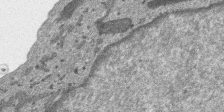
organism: Human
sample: Lung epithelial cells infected with SARS-CoV-2